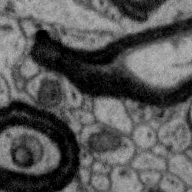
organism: Zebra finch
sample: Brain